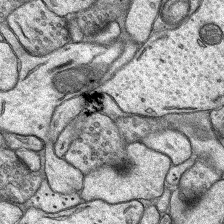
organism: Rat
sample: Hippocampus